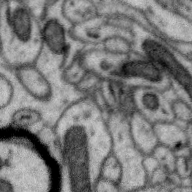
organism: Zebra finch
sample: Brain